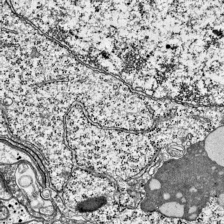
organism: Mouse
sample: Visual Cortex